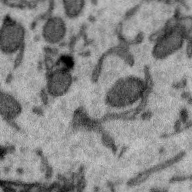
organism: Zebra finch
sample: Brain